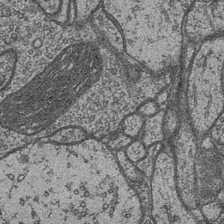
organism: Drosophila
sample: Optic medulla